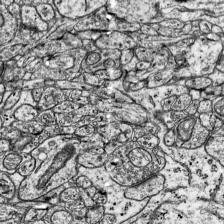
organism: Mouse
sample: Visual Cortex